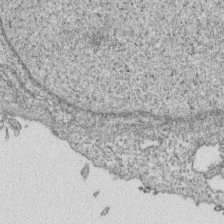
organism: Human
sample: HeLa cell HIV synapse